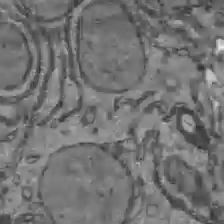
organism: C57BL Mouse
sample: Liver